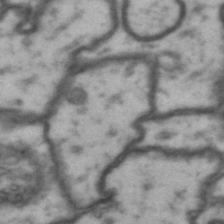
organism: Drosophila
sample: Brain